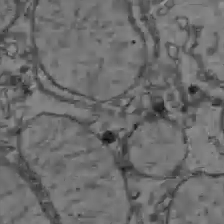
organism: C57BL Mouse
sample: Liver